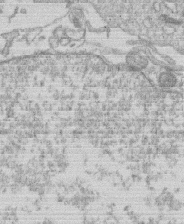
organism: Human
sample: Macrophage cells